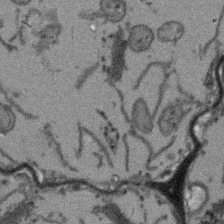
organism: Arabidopsis thaliana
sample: Root tip